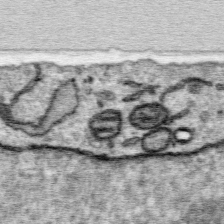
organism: Human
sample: HeLa cells